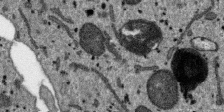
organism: Human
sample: Lung epithelial cells, uninfected (mock) control